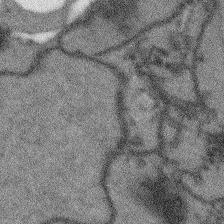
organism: Arabidopsis thaliana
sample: Root tip